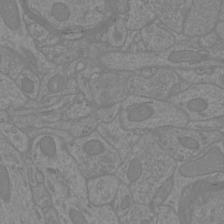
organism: Mouse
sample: Cortical neurons